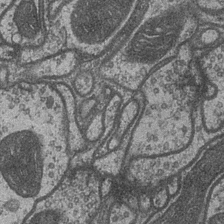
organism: Drosophila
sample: Optic medulla